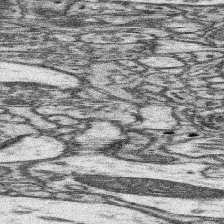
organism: Mouse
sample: Somatosensory cortex neuropil